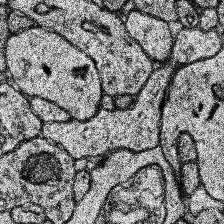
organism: Human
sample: Temporal Lobe